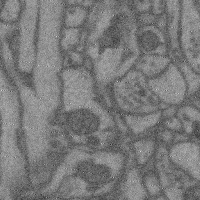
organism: Mouse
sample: Cerebral cortex